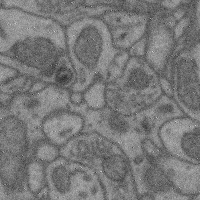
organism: Mouse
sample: Cerebral cortex